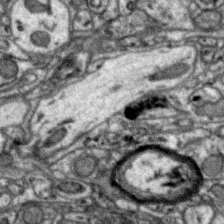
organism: Zebra finch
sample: Brain